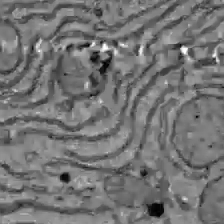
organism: C57BL Mouse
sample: Liver